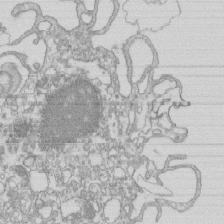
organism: Mouse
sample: Macrophages